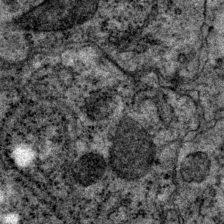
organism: P. pacificus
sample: Pharynx